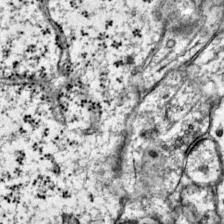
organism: Mouse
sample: Primary visual cortex